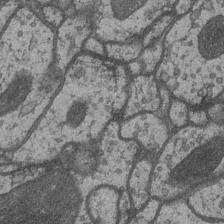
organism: Drosophila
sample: Optic medulla